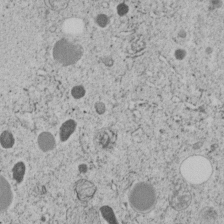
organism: C. elegans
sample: C. elegans embryo early stage